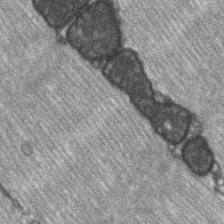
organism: C57BL Mouse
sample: Soleus